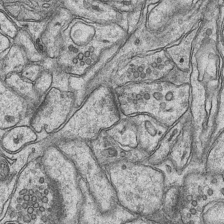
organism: Mouse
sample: CA1 Hippocampus